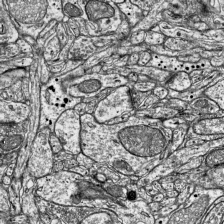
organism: Mouse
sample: Visual Cortex